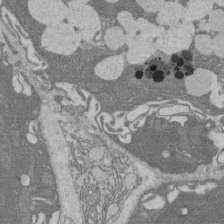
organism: Rat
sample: Salivary granule